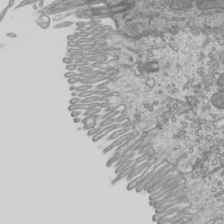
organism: Mouse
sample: Cilia; mouse epididymis